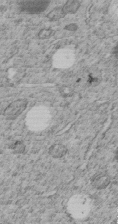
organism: C. elegans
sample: C. elegans embryo early stage